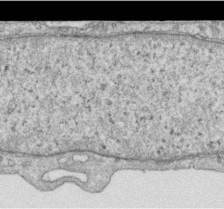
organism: Human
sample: Centriole in RPE cells